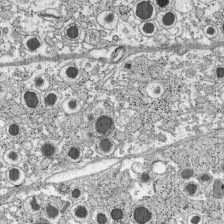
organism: C57BL Mouse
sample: Pancreatic islet